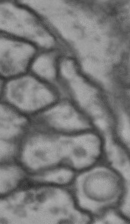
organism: Drosophila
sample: Brain